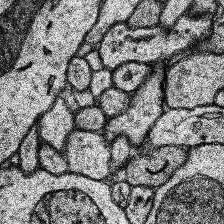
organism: Human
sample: Temporal Lobe